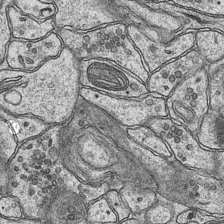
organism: Mouse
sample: CA1 Hippocampus